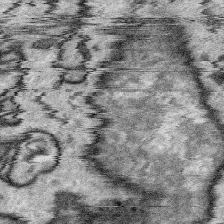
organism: Human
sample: HeLa cells